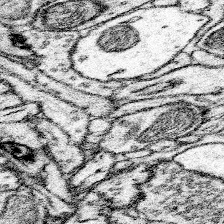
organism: Mouse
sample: Somatosensory cortex neuropil